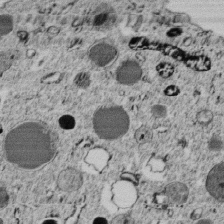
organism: C. elegans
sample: C. elegans embryo early stage